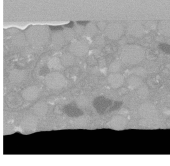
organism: C. elegans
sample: C. elegans oocyte; sperm cells